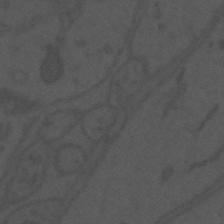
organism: Mouse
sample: Suprachiasmatic nucleus